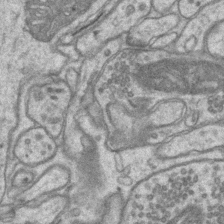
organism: Mouse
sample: CA1 Hippocampus